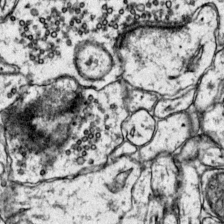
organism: Mouse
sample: Primary visual cortex